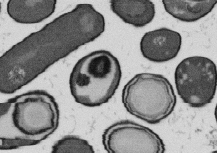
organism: B. subtilis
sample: Bacterial spore